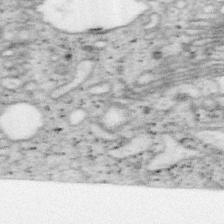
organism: Mouse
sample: OT-I killer T cells with ID8 ovarian cancer cells